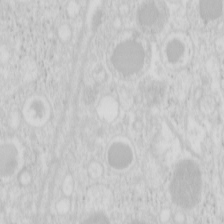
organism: Mouse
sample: Pancreas